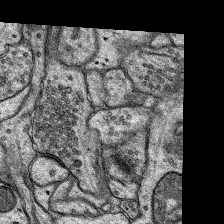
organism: Rat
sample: Hippocampus